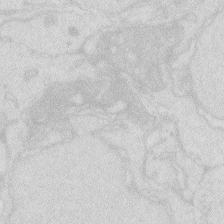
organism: Zebrafish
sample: Macrophage